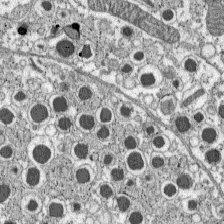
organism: C57BL Mouse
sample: Pancreatic islet